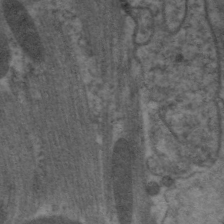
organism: C. elegans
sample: Pharynx